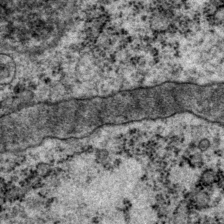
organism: P. pacificus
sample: Pharynx